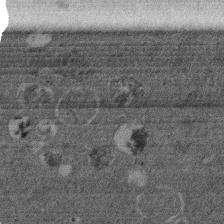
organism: Mouse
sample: Dividing mouse embryo 1 cell stage